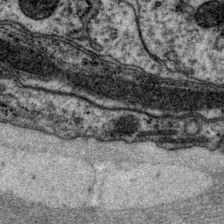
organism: P. pacificus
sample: Pharynx